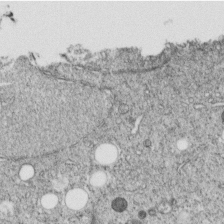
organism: C. elegans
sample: C. elegans embryo early stage